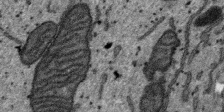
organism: Human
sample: Lung epithelial cells, uninfected (mock) control